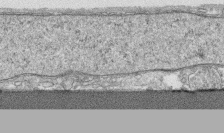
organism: Human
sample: CRL-1474